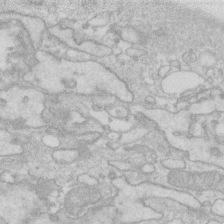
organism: Human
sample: Fibroblast cells